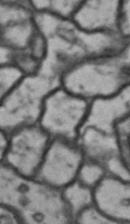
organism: Drosophila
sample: Brain